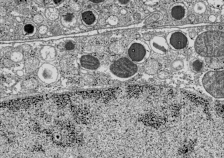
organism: C57BL Mouse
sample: Pancreatic islet